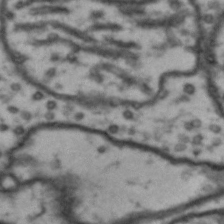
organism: Drosophila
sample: Brain